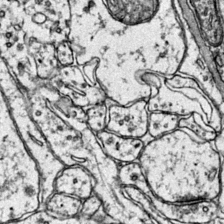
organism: Mouse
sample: Primary visual cortex